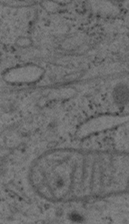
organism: Human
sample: HeLa cells